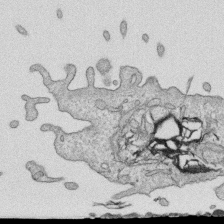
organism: Human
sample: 1205lu cells